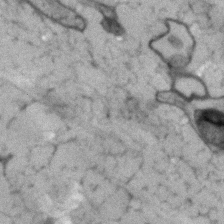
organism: Human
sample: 1205lu cells